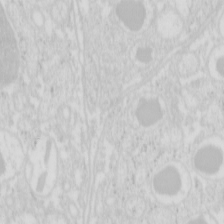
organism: Mouse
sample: Pancreas